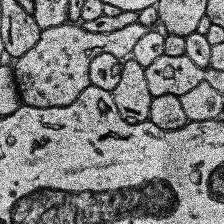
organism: Human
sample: Temporal Lobe